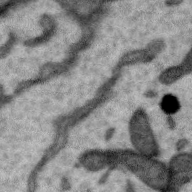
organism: Zebra finch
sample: Brain